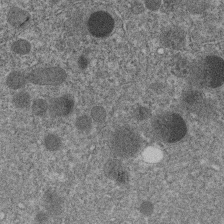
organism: C. elegans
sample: C. elegans embryo early stage